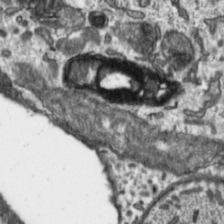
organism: Toxoplasma gondii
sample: Parasites in a vacuole inside a host cell